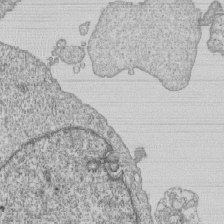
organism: Human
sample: MDA-MB-231 cells